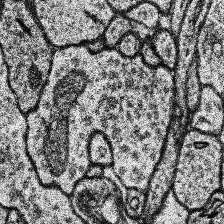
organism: Human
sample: Temporal Lobe